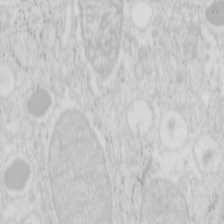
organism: Mouse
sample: Pancreas